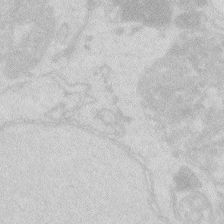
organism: Zebrafish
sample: Macrophage